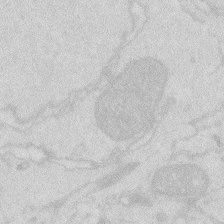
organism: Zebrafish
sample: Macrophage